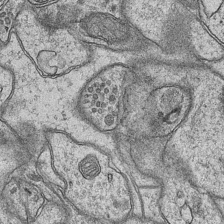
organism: Mouse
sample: CA1 Hippocampus